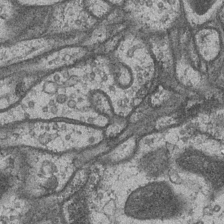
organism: Drosophila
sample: Optic medulla